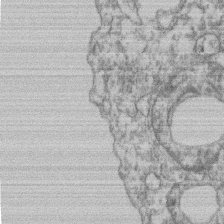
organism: Mouse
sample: T cell stromal cell synapse